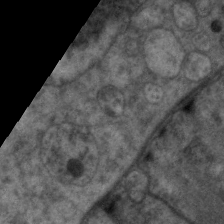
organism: C. elegans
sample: Pharynx